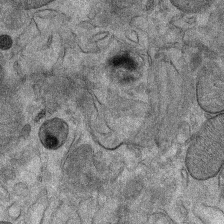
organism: Mouse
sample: Mouse Salivary gland